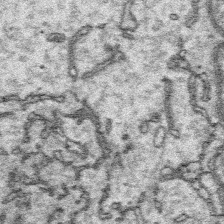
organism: Platynereis dumerilii